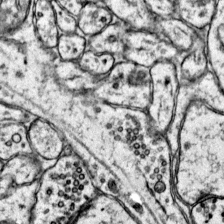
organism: Mouse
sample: Primary visual cortex